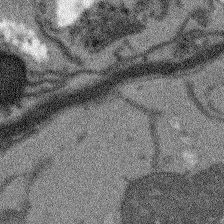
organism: Arabidopsis thaliana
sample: Root tip